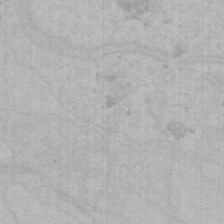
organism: Mouse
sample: Choroid plexus